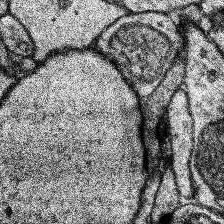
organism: Human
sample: Temporal Lobe